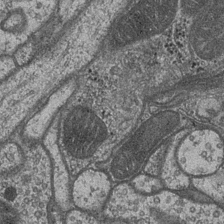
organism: Drosophila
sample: Optic medulla